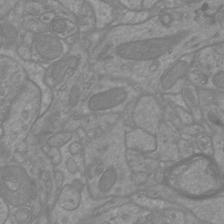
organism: Mouse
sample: Cortical neurons